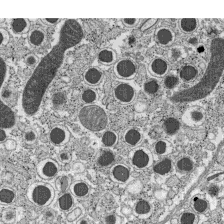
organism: C57BL Mouse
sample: Pancreatic islet